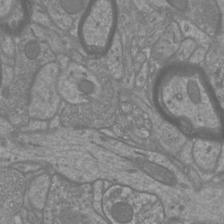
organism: Mouse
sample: Cortical neurons